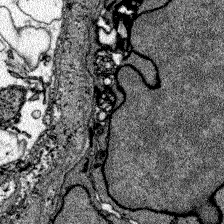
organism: Zebrafish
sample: Larval olfactory bulb